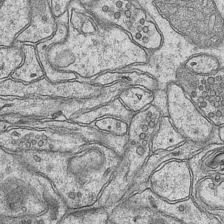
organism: Mouse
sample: CA1 Hippocampus